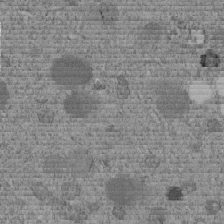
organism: C. elegans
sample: C. elegans embryo early stage